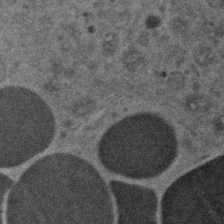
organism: Zebrafish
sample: Zebrafish embryo